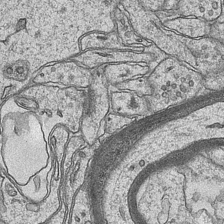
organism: Mouse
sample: CA1 Hippocampus